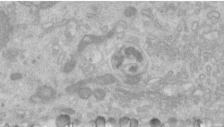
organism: Human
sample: Centriole in RPE cells